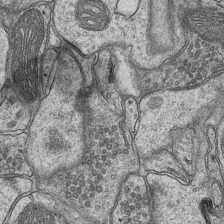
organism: Mouse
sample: CA1 Hippocampus